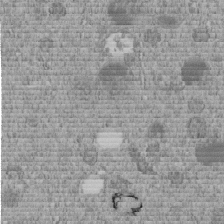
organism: C. elegans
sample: C. elegans embryo early stage